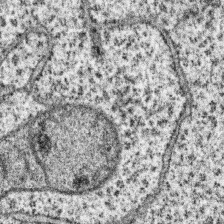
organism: Human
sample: HeLa cells